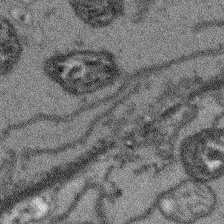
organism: Arabidopsis thaliana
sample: Root tip